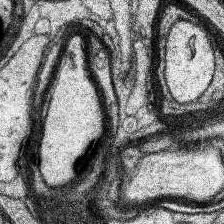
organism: Human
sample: Temporal Lobe